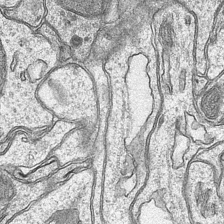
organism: Mouse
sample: CA1 Hippocampus